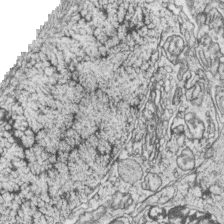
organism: Zebrafish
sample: synaptic ribbons in rod cells and cone cells